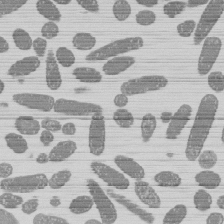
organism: E. coli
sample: Bacterial nucleoid